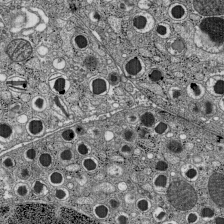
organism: C57BL Mouse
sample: Pancreatic islet